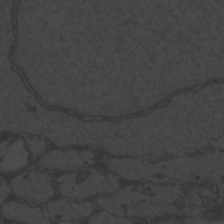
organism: Zebrafish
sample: Macrophage infected with Toxoplasma gondii